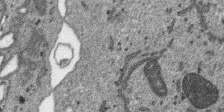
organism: Human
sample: Lung epithelial cells infected with SARS-CoV-2